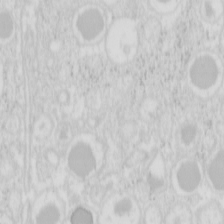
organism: Mouse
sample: Pancreas